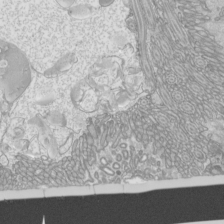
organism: Mouse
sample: Cilia; mouse epididymis